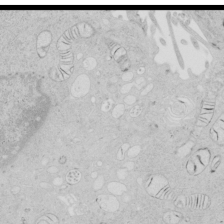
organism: Human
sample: Mitochondria in HCT116 cells